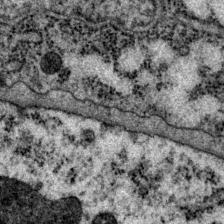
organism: P. pacificus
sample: Pharynx